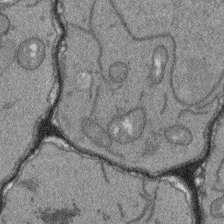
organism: Arabidopsis thaliana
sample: Root tip